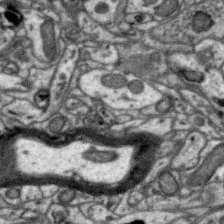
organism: Zebra finch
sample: Brain